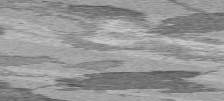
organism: C57BL Mouse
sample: Heart